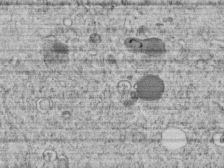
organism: C. elegans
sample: C. elegans embryo early stage